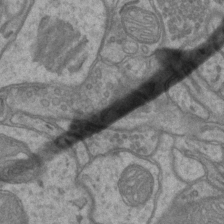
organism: Mouse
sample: CA1 Hippocampus